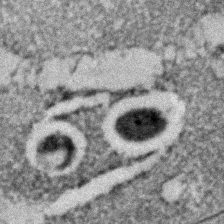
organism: C. elegans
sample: C. elegans embryo